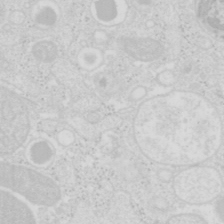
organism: Mouse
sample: Pancreas